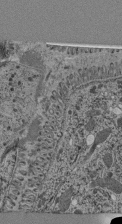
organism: C. elegans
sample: C. elegans pharynx